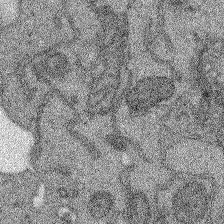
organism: Human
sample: HeLa cells